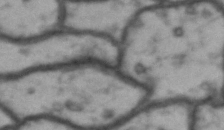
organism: Drosophila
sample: Brain